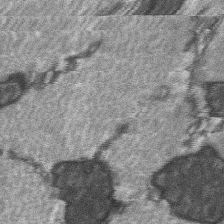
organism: C57BL Mouse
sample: Soleus